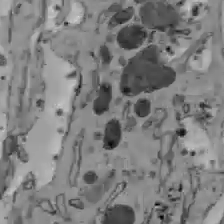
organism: C57BL Mouse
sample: Liver